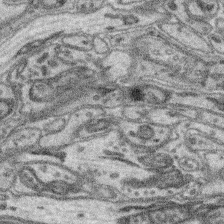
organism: Mouse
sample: Retina